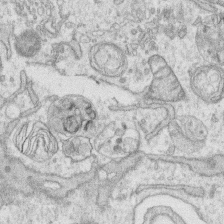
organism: Human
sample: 1205lu cells